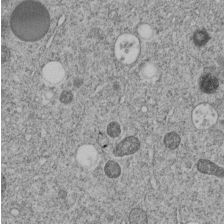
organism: C. elegans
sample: C. elegans embryo early stage